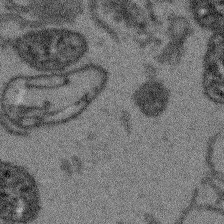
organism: Arabidopsis thaliana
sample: Root tip